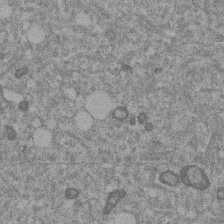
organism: Mouse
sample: Dividing mouse embryo 1 cell stage